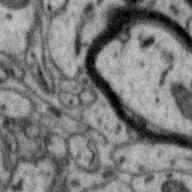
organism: Zebra finch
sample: Brain